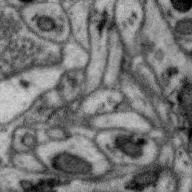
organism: Zebra finch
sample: Brain